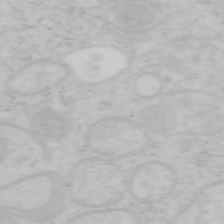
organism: Mouse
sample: OT-I killer T cells with ID8 ovarian cancer cells